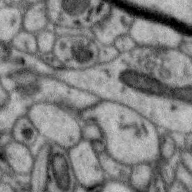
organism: Zebra finch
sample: Brain